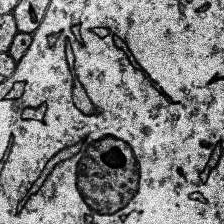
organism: Human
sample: Temporal Lobe